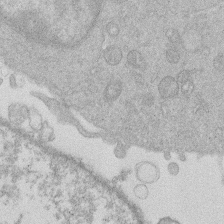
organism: Human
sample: Macrophage cells